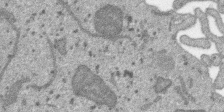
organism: Human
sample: Lung epithelial cells infected with SARS-CoV-2